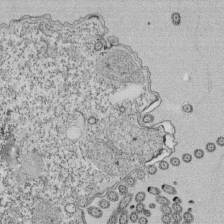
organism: Tetrahymena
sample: Cilia in tetrahymena